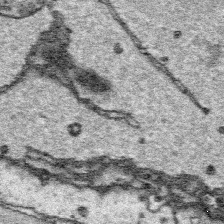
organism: Platynereis dumerilii